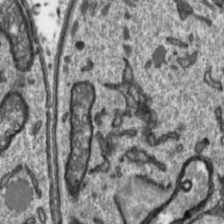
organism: Toxoplasma gondii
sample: Parasites in a vacuole inside a host cell